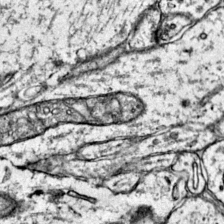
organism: Mouse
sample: Primary visual cortex